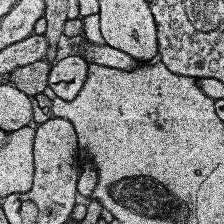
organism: Human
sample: Temporal Lobe